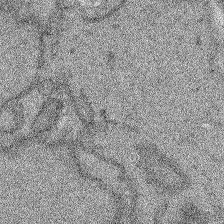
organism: Human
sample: HeLa cells